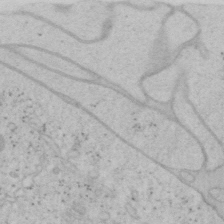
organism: Human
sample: HeLa cells